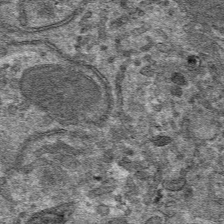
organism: Mouse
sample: Mouse hepatocytes